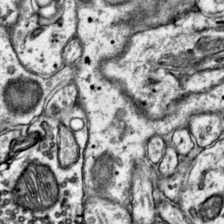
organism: Mouse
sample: Primary visual cortex